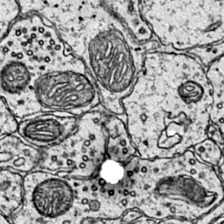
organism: Mouse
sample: Primary visual cortex